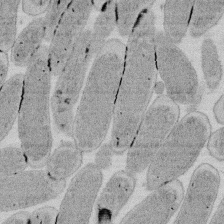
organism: E. coli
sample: Bacterial nucleoid